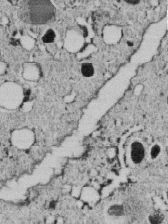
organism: C. elegans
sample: C. elegans embryo early stage